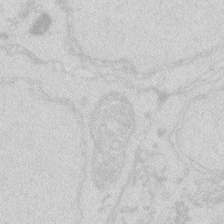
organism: Zebrafish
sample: Macrophage